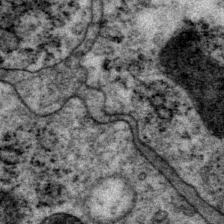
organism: P. pacificus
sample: Pharynx